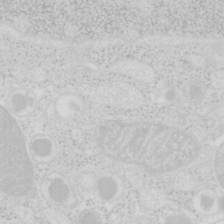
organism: Mouse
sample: Pancreas